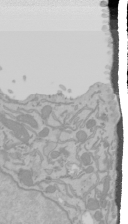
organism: Mouse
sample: Cancer cell death in ED-1 cells